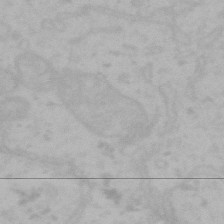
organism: Mouse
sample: Choroid plexus